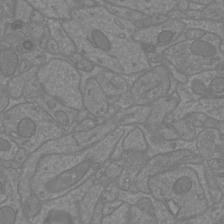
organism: Mouse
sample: Cortical neurons